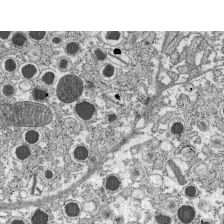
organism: C57BL Mouse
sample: Pancreatic islet